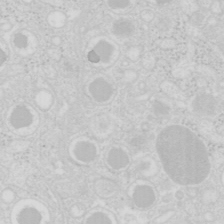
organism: Mouse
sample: Pancreas